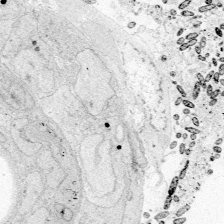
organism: Zebrafish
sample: Whole-Brain